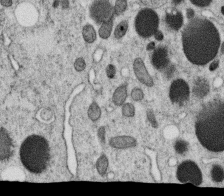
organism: C. elegans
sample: C. elegans oocyte; sperm cells